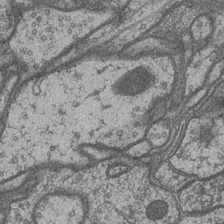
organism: Drosophila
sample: Optic medulla